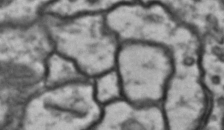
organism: Drosophila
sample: Brain